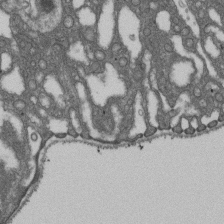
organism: Drosophila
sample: Nephrocyte